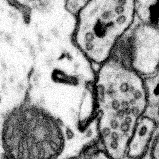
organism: Mouse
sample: Somatosensory cortex neuropil